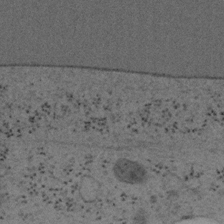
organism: Human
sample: HeLa cells